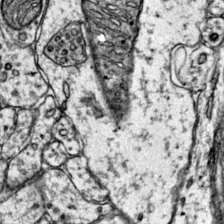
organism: Mouse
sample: Primary visual cortex